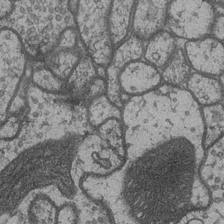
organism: Drosophila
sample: Optic medulla